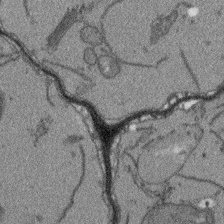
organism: Arabidopsis thaliana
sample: Root tip